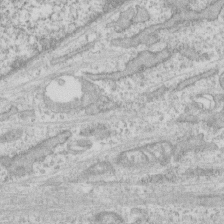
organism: Human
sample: CRL-1474